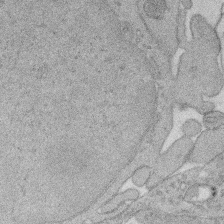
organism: Rat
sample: Salivary granule